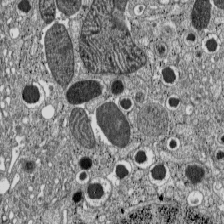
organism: C57BL Mouse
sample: Pancreatic islet